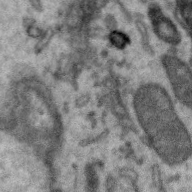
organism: Zebra finch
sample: Brain